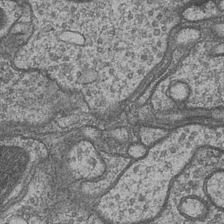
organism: Drosophila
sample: Optic medulla